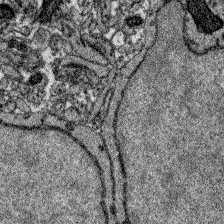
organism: Zebrafish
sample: Larval olfactory bulb